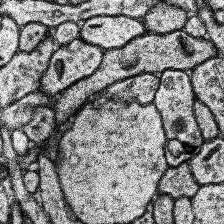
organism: Human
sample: Temporal Lobe